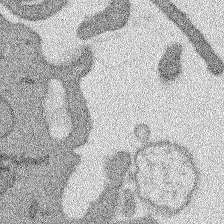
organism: Human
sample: HeLa cells